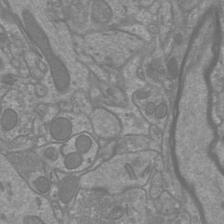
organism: Mouse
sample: Cortical neurons